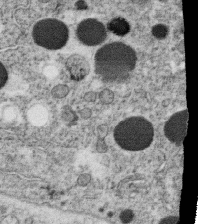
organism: C. elegans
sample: C. elegans oocyte; sperm cells